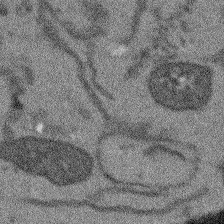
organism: Arabidopsis thaliana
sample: Root tip